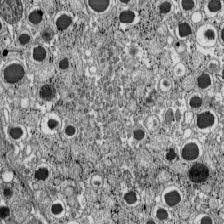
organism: C57BL Mouse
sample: Pancreatic islet